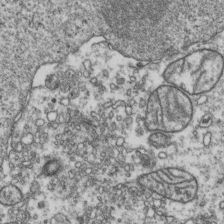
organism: Human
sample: Activated Jurkat CD4+ T cells